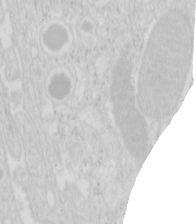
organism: Mouse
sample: Pancreas